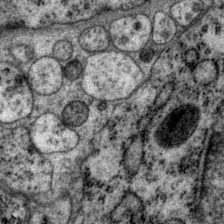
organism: P. pacificus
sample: Pharynx